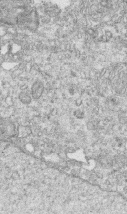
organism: Human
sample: HeLa cell HIV synapse